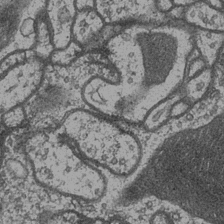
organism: Drosophila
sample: Optic medulla